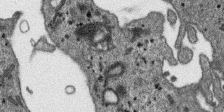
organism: Human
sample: Lung epithelial cells infected with SARS-CoV-2